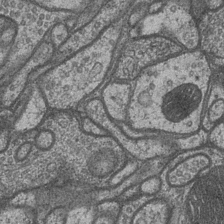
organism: Drosophila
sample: Optic medulla